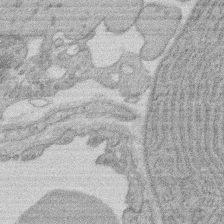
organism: Rat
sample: Salivary granule